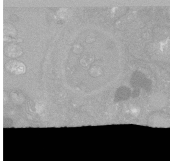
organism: C. elegans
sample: C. elegans oocyte; sperm cells